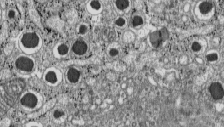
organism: C57BL Mouse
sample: Pancreatic islet